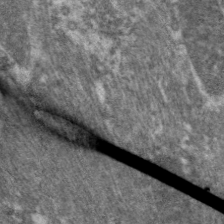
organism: C. elegans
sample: Pharynx